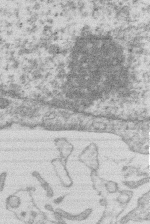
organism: Human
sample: Macrophage cells